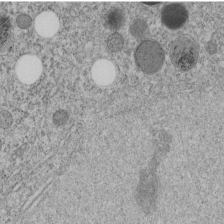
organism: C. elegans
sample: C. elegans embryo early stage